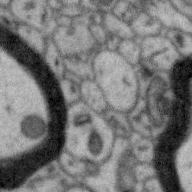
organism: Zebra finch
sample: Brain